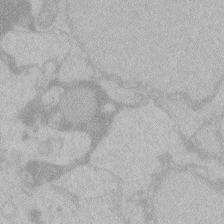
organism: Zebrafish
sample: Macrophage infected with Toxoplasma gondii